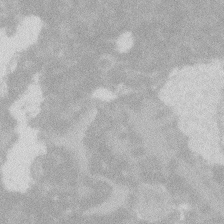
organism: Zebrafish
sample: Macrophage